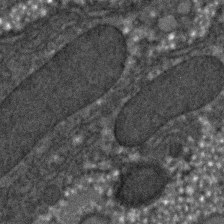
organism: C. elegans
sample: C. elegans embryo